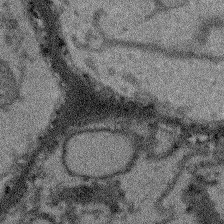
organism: Arabidopsis thaliana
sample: Root tip